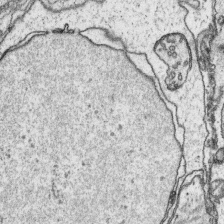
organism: Platynereis dumerilii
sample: Parapodia